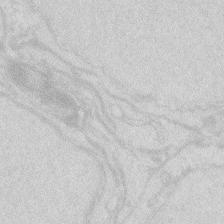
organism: Zebrafish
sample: Macrophage